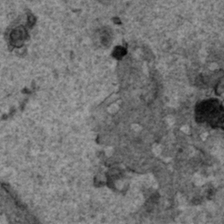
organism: Human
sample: Mitochondria in HCT116 cells